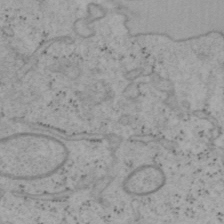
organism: Human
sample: HeLa cells